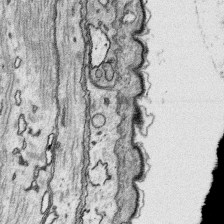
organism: Platynereis dumerilii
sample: Parapodia